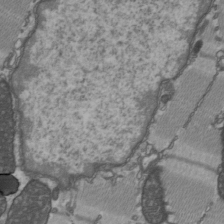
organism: C57BL Mouse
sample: Heart